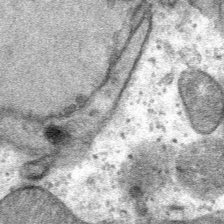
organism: Mouse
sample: Mouse Salivary gland